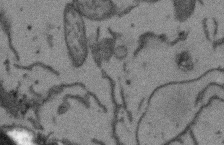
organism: Arabidopsis thaliana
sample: Root tip